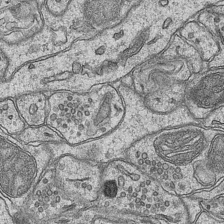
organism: Mouse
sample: CA1 Hippocampus